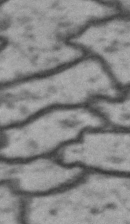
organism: Drosophila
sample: Brain